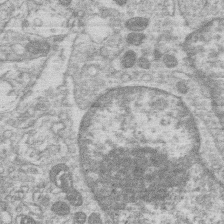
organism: Human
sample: Macrophage cells